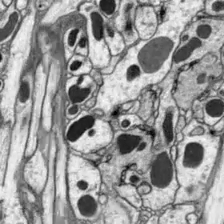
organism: Drosophila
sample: Optic lobe